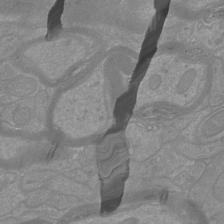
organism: Mouse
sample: Cortical neurons